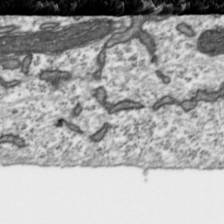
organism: Toxoplasma gondii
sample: Parasites in a vacuole inside a host cell